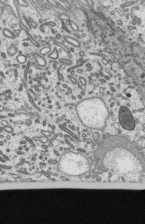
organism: Mouse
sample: Mouse epididymis efferent ductule cilia